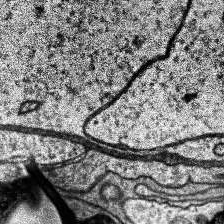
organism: Human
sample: Temporal Lobe